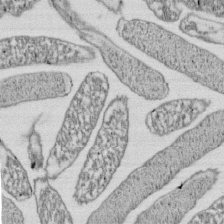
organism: E. coli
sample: Bacterial nucleoid